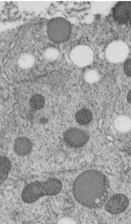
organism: C. elegans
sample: C. elegans embryo early stage